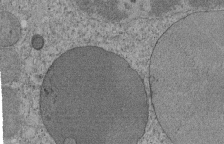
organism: Tetrahymena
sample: Cilia in tetrahymena